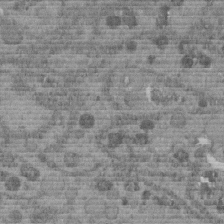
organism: C. elegans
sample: C. elegans embryo early stage